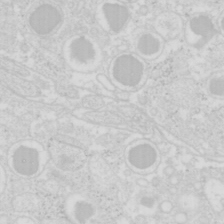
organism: Mouse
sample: Pancreas